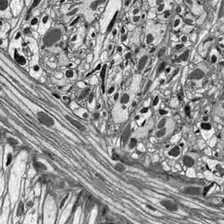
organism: Drosophila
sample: Optic lobe